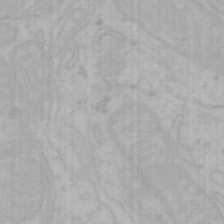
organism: Mouse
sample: Choroid plexus